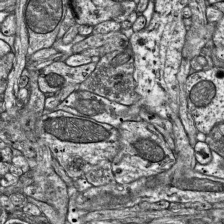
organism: Mouse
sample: Visual Cortex